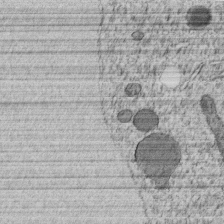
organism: C. elegans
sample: C. elegans embryo early stage